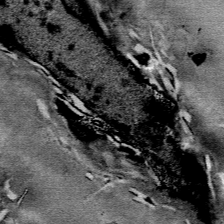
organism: Mouse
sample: Mouse Salivary gland